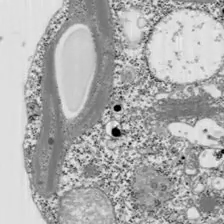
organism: Chlamydomonas reinhardtii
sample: Whole Cell